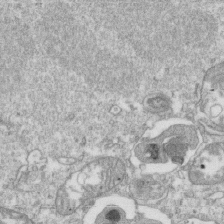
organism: Mouse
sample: Activated OT-1 CD8+ T cells